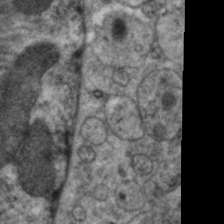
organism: C. elegans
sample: Pharynx